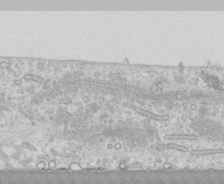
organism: Human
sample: CRL-1474